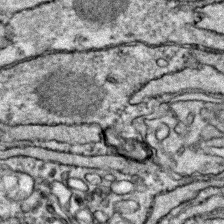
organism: Zebrafish